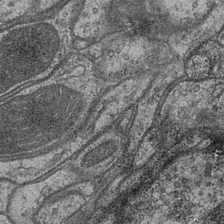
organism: Drosophila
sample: Optic medulla